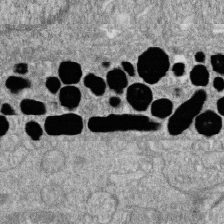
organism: Zebrafish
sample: Cilia; retinal pigment epithelium